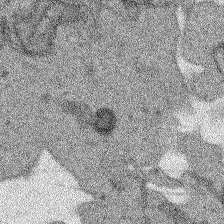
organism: Human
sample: HeLa cells